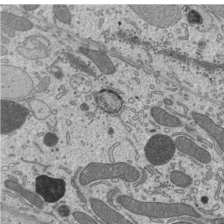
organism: Mouse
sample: Mouse epididymis efferent ductule cilia